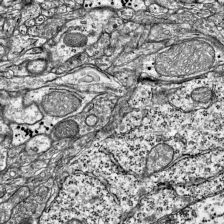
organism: Mouse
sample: Visual Cortex